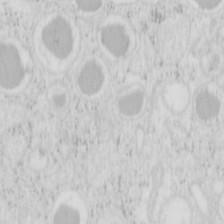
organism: Mouse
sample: Pancreas